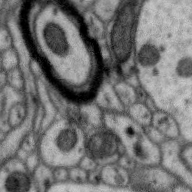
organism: Zebra finch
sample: Brain